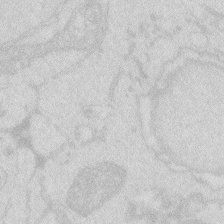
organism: Zebrafish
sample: Macrophage